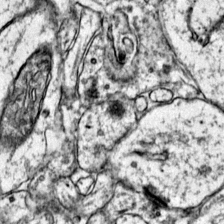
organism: Mouse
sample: Primary visual cortex